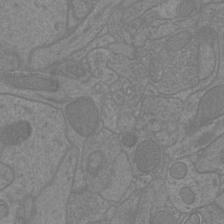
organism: Mouse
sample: Cortical neurons